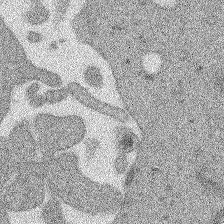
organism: Human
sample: HeLa cells